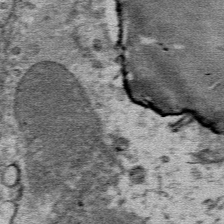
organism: Mouse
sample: Mouse Salivary gland